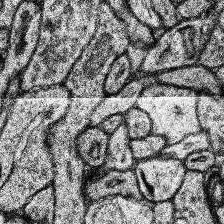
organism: Human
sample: Temporal Lobe